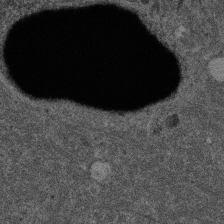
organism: Mouse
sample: Dividing mouse embryo 1 cell stage